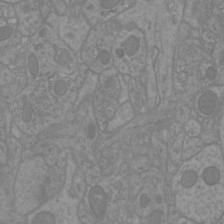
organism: Mouse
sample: Cortical neurons